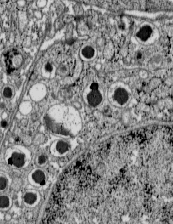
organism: C57BL Mouse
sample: Pancreatic islet